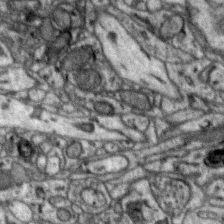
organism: Zebra finch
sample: Brain